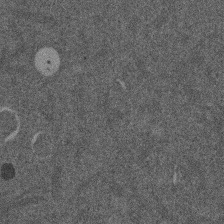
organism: Mouse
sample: Dividing mouse embryo 1 cell stage